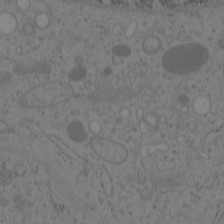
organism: Human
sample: HeLa cells